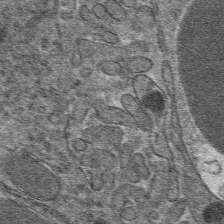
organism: Mouse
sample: Mouse hepatocytes